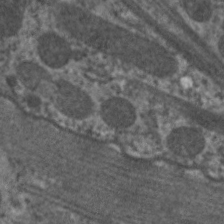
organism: C. elegans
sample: Pharynx